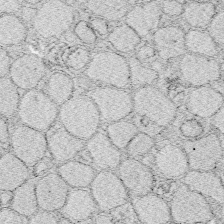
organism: Zebrafish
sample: Whole-Brain